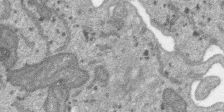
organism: Human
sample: Lung epithelial cells infected with SARS-CoV-2